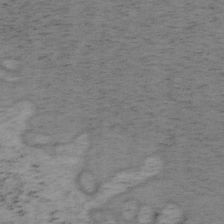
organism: Mouse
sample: OT-I killer T cells with ID8 ovarian cancer cells